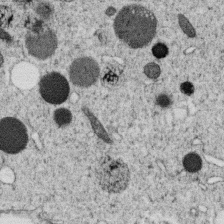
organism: C. elegans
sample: C. elegans oocyte; sperm cells